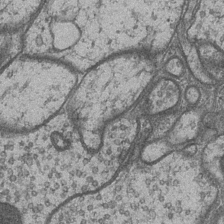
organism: Drosophila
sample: Optic medulla